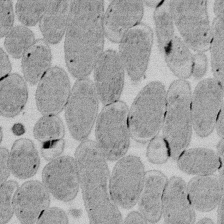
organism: E. coli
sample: Bacterial nucleoid